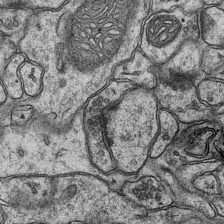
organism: Mouse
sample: CA1 Hippocampus